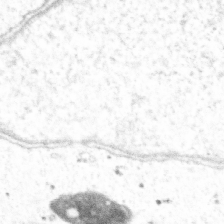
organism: Human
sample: HeLa cells